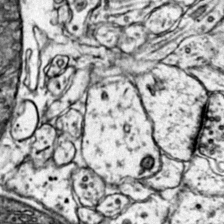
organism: Mouse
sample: Primary visual cortex